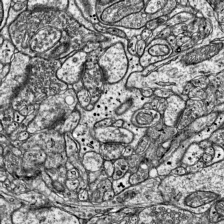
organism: Mouse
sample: Visual Cortex